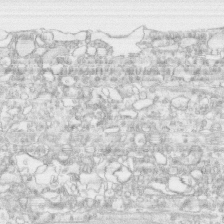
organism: Human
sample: CRL-1474